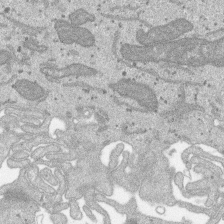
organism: Human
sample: Lung epithelial cells infected with SARS-CoV-2